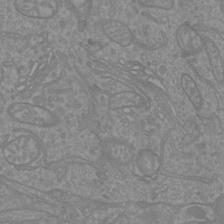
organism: Mouse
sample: Cortical neurons